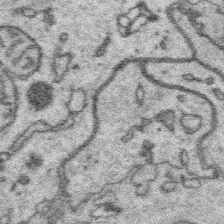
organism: Platynereis dumerilii